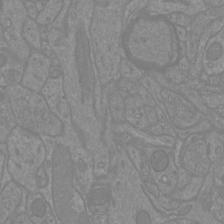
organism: Mouse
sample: Cortical neurons